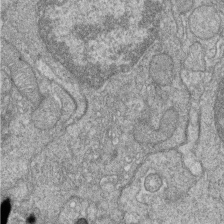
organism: Zebrafish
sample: Cilia; retinal pigment epithelium